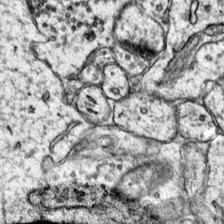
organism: Mouse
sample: Primary visual cortex